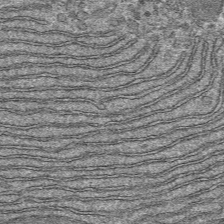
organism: Mouse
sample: Mouse hepatocytes